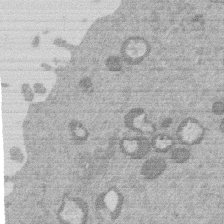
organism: Mouse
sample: Dividing mouse embryo 1 cell stage